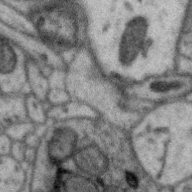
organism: Zebra finch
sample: Brain